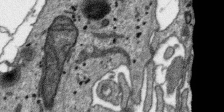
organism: Human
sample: Lung epithelial cells, uninfected (mock) control